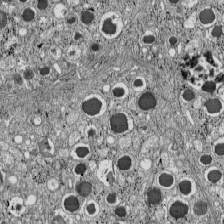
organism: C57BL Mouse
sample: Pancreatic islet